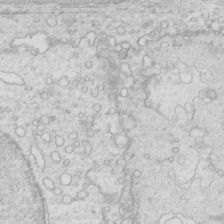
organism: Mouse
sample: Multiciliated cells